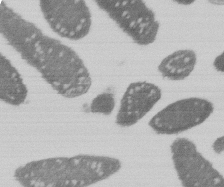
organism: E. coli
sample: Bacterial nucleoid